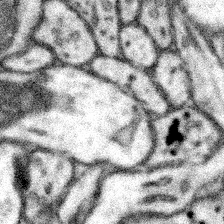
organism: Mouse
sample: Somatosensory cortex neuropil